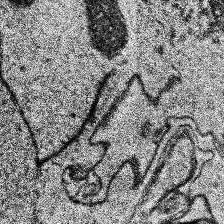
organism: Human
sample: Temporal Lobe